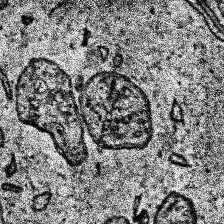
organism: Human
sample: Temporal Lobe